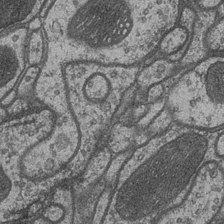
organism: Drosophila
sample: Optic medulla